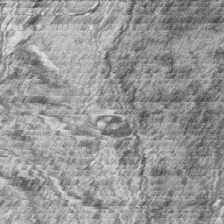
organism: Zebrafish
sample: synaptic ribbons in rod cells and cone cells